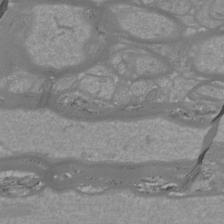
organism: Mouse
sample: Cortical neurons